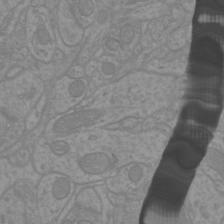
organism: Mouse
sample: Cortical neurons